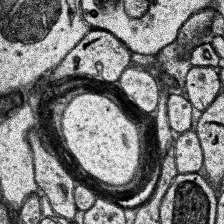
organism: Human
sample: Temporal Lobe